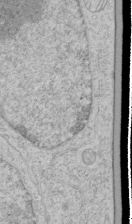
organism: Human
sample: Mitochondria in HCT116 cells